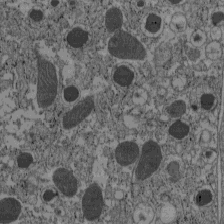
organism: C57BL Mouse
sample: Pancreatic islet